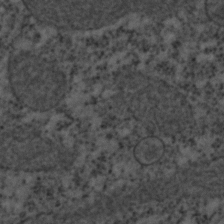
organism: C. elegans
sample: C. elegans embryo